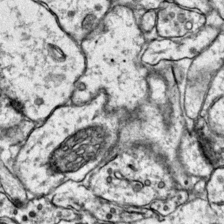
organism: Mouse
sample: Primary visual cortex